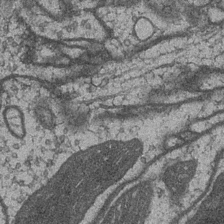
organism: Drosophila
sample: Optic medulla